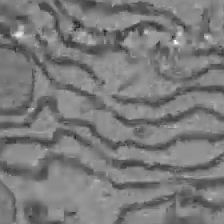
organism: C57BL Mouse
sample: Liver